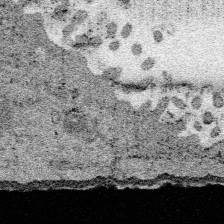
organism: Human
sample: Lung epithelial cells, uninfected (mock) control